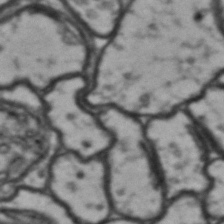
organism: Drosophila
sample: Brain